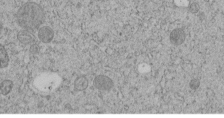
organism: C. elegans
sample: C. elegans embryo early stage